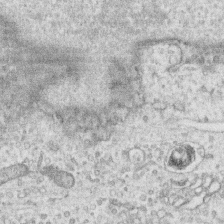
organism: Human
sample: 1205lu cells